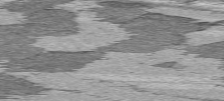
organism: C57BL Mouse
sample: Heart